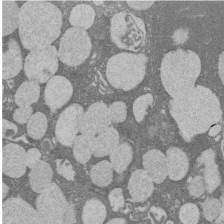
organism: Rat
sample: Salivary granule